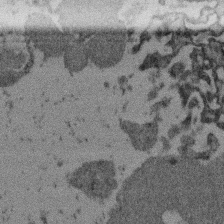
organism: Mouse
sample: Dividing mouse embryo 1 cell stage